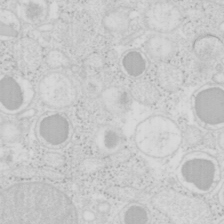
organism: Mouse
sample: Pancreas